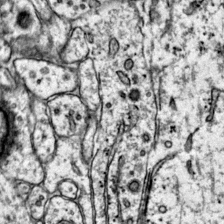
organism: Mouse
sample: Primary visual cortex